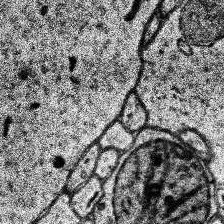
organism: Human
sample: Temporal Lobe